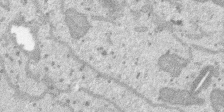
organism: Human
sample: Lung epithelial cells infected with SARS-CoV-2